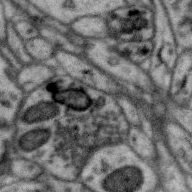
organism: Zebra finch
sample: Brain